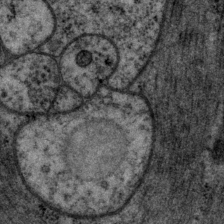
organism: P. pacificus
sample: Pharynx